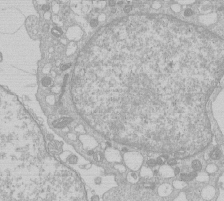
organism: Human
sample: Macrophage cells